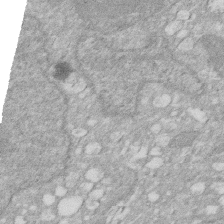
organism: Human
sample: HIV infected U937 cells